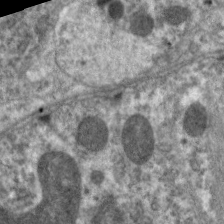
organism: C. elegans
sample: Pharynx